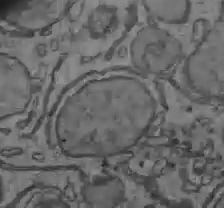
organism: C57BL Mouse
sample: Liver